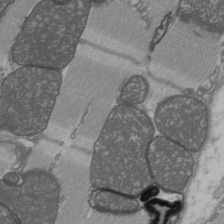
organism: C57BL Mouse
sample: Heart